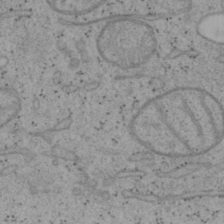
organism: Human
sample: HeLa cells